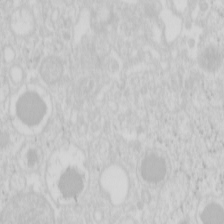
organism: Mouse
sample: Pancreas